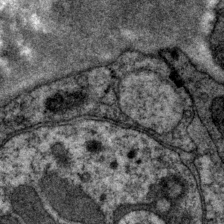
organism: P. pacificus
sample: Pharynx